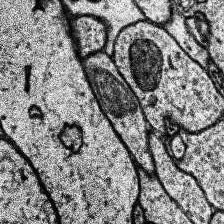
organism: Human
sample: Temporal Lobe